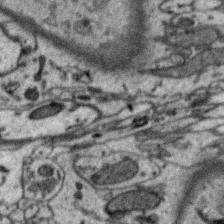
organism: Zebra finch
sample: Brain